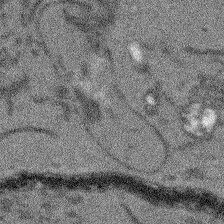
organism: Arabidopsis thaliana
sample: Root tip